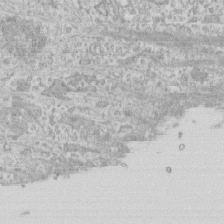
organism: Human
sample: CRL-1474